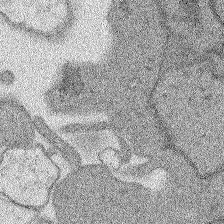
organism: Human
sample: HeLa cells